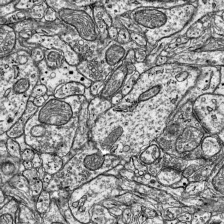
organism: Mouse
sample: Visual Cortex